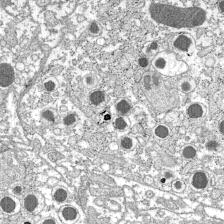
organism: C57BL Mouse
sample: Pancreatic islet